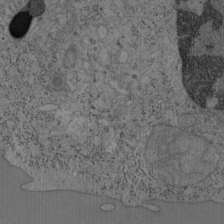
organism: Mouse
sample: OT-I killer T cells with ID8 ovarian cancer cells